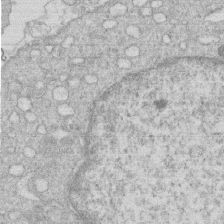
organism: Human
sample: Macrophage cells